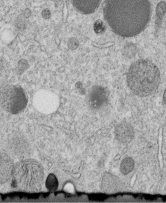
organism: C. elegans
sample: C. elegans embryo early stage